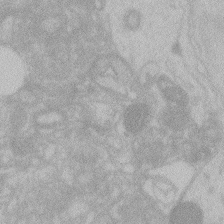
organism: Zebrafish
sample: Macrophage infected with Toxoplasma gondii